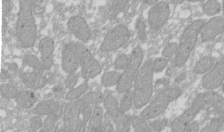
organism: Xenopus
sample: Cilia; centrioles in frog embryo cells